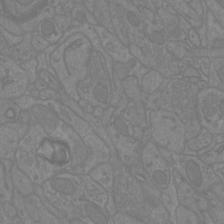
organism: Mouse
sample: Cortical neurons